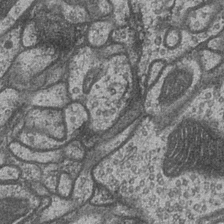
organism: Drosophila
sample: Optic medulla